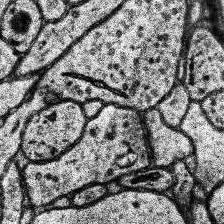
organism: Human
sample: Temporal Lobe